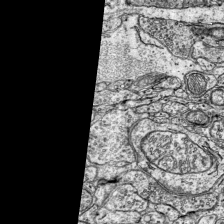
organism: Mouse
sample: Visual Cortex